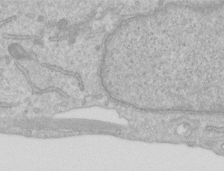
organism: Human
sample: Centriole in RPE cells